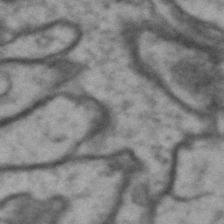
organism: Drosophila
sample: Brain